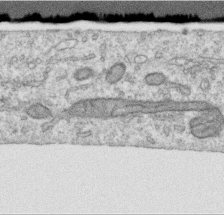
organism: Human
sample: Centriole in RPE cells